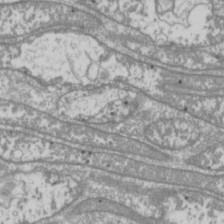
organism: Drosophila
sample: Cell division; meiosis; drosophila spermatocytes